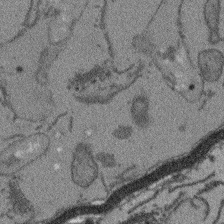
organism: Arabidopsis thaliana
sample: Root tip